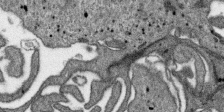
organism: Human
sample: Lung epithelial cells, uninfected (mock) control